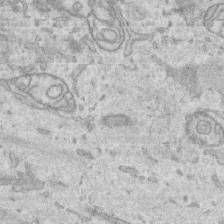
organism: Human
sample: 1205lu cells